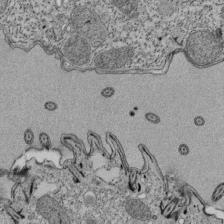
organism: Tetrahymena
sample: Cilia in tetrahymena